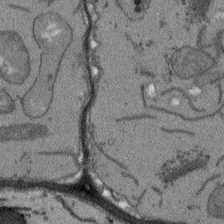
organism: Arabidopsis thaliana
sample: Root tip